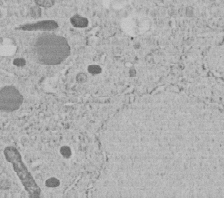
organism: C. elegans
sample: C. elegans embryo early stage